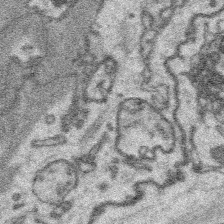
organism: Platynereis dumerilii